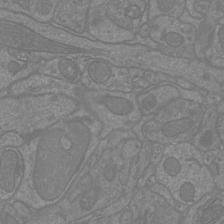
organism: Mouse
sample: Cortical neurons